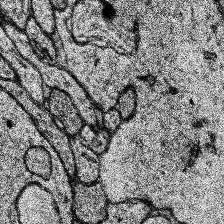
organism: Human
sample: Temporal Lobe